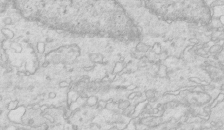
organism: Mouse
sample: Multiciliated cells